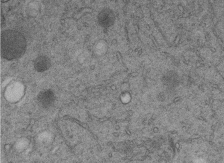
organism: C. elegans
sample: C. elegans embryo early stage